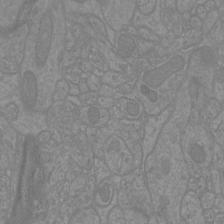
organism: Mouse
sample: Cortical neurons